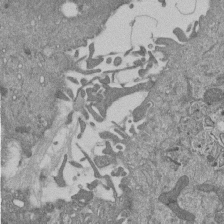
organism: Mouse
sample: ED-1 cell nuclei; centrioles